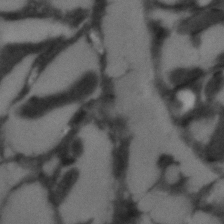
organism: C. elegans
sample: C. elegans embryo